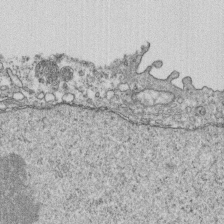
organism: Human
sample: HeLa cell HIV synapse